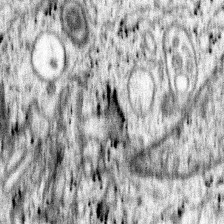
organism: Human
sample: HeLa cells